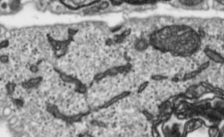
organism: Toxoplasma gondii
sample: Parasites in a vacuole inside a host cell